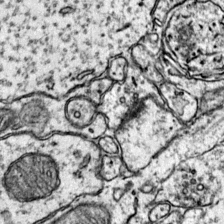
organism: Mouse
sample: Primary visual cortex